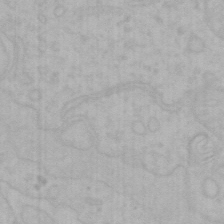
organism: Mouse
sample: Choroid plexus